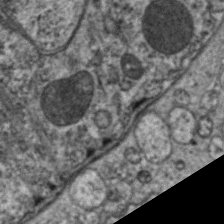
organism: C. elegans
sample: Pharynx